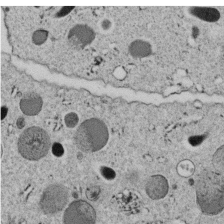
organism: C. elegans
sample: C. elegans embryo early stage